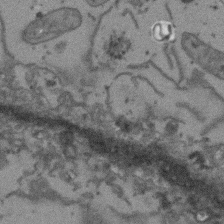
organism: Arabidopsis thaliana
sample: Root tip